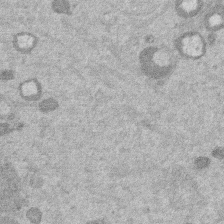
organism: Mouse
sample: Dividing mouse embryo 1 cell stage